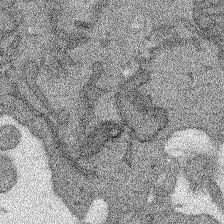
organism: Human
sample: HeLa cells